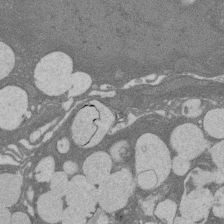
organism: Rat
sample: Salivary granule